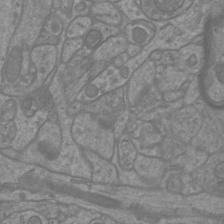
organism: Mouse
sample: Cortical neurons